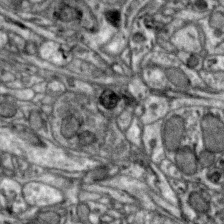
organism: Zebra finch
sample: Brain